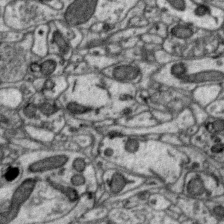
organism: Zebra finch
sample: Brain